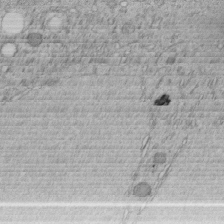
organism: C. elegans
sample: C. elegans embryo early stage